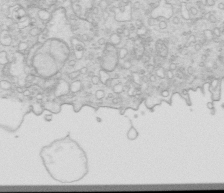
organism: Mouse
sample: Multiciliated cells